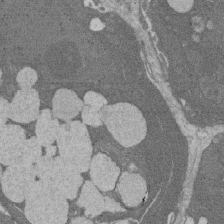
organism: Rat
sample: Salivary granule